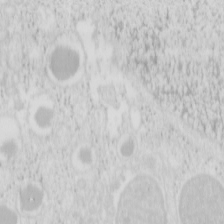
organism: Mouse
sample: Pancreas